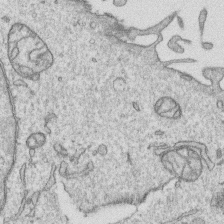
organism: Human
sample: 1205lu cells